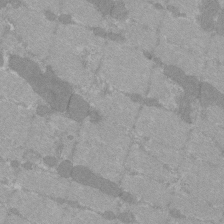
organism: C57BL Mouse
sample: Tibialis anterior muscle cell